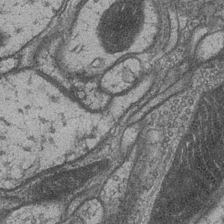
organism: Drosophila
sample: Optic medulla